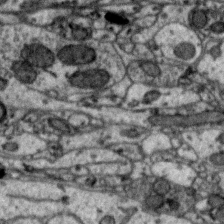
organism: Zebra finch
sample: Brain